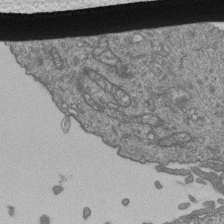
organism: Human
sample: Retinal organoid Rod and Cone cells